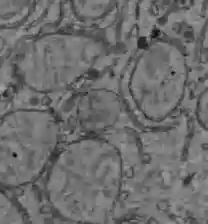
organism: C57BL Mouse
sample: Liver